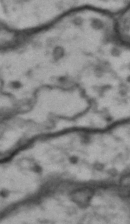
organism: Drosophila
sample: Brain